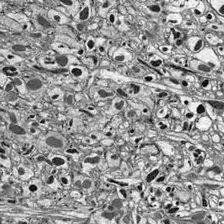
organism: Drosophila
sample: Optic lobe